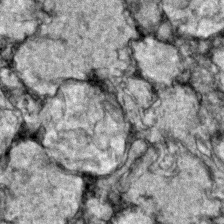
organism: Zebrafish